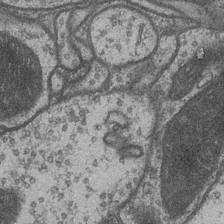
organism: Drosophila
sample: Optic medulla